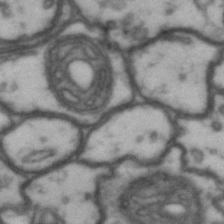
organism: Drosophila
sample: Brain